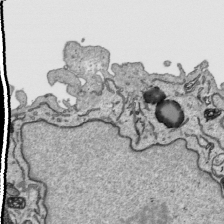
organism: Human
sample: Mitochondria in HCT116 cells